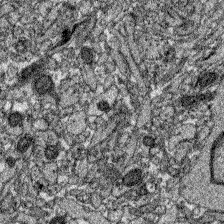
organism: Zebrafish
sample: Larval olfactory bulb